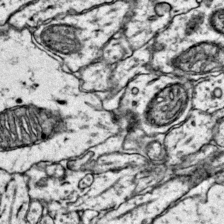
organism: Mouse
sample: Primary visual cortex